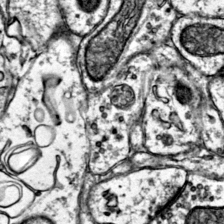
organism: Mouse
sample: Primary visual cortex